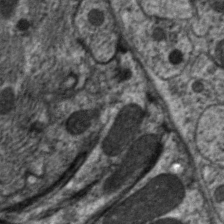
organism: C. elegans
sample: Pharynx